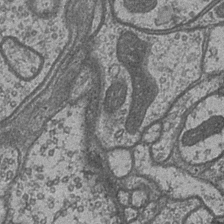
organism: Drosophila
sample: Optic medulla